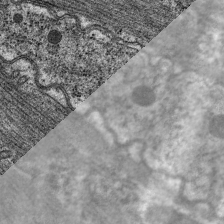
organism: C. elegans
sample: Pharynx